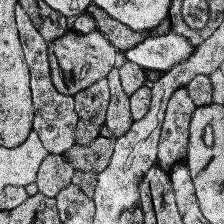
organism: Human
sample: Temporal Lobe